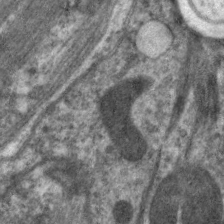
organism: C. elegans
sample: Pharynx